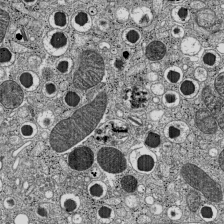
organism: C57BL Mouse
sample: Pancreatic islet